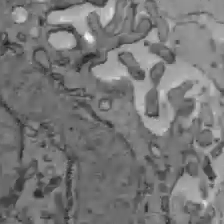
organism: C57BL Mouse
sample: Liver